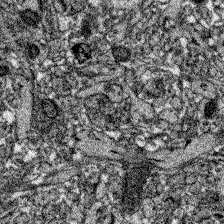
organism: Zebrafish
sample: Larval olfactory bulb